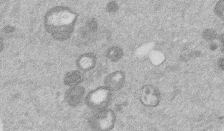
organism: Mouse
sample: Dividing mouse embryo 1 cell stage